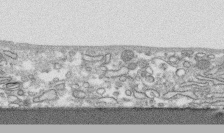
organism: Human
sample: CRL-1474